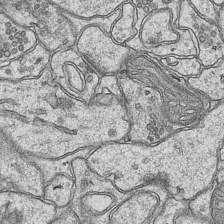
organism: Mouse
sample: CA1 Hippocampus